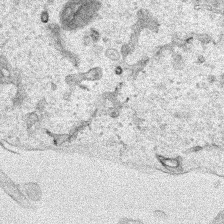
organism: Human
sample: Mitochondria in HCT116 cells